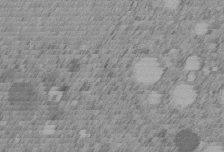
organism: C. elegans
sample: C. elegans embryo early stage